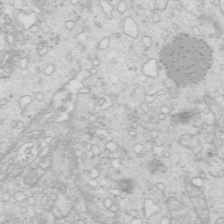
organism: Mouse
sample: Multiciliated cells